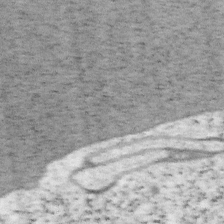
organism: Mouse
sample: OT-I killer T cells with ID8 ovarian cancer cells